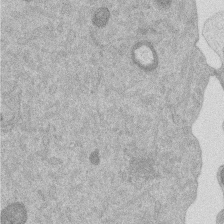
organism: Mouse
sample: Dividing mouse embryo 1 cell stage